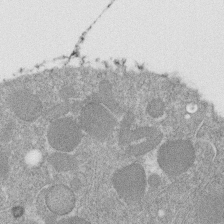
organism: C. elegans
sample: C. elegans embryo early stage